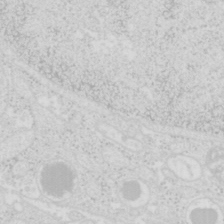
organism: Mouse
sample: Pancreas